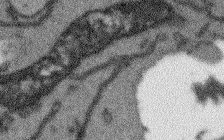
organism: Arabidopsis thaliana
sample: Root tip